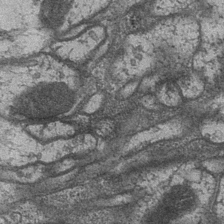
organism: Drosophila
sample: Optic medulla